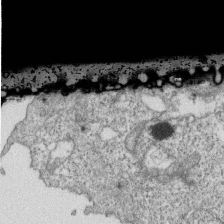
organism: Human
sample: HeLa cell HIV synapse